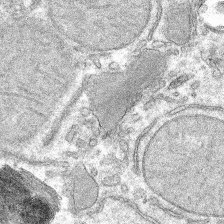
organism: Mouse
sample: Mouse hepatocytes